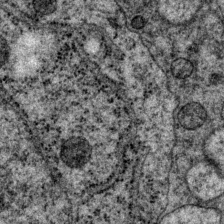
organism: P. pacificus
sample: Pharynx